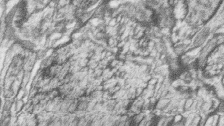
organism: Zebrafish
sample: synaptic ribbons in rod cells and cone cells